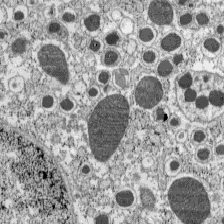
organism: C57BL Mouse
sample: Pancreatic islet